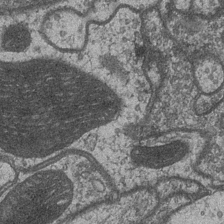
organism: Drosophila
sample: Optic medulla